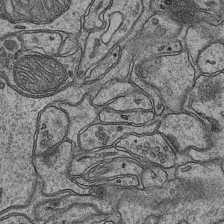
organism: Mouse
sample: CA1 Hippocampus